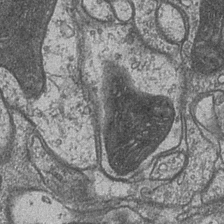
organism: Drosophila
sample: Optic medulla